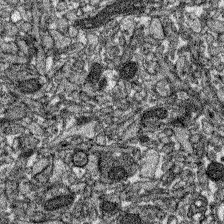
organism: Zebrafish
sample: Larval olfactory bulb